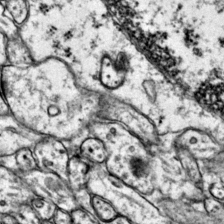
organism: Mouse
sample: Primary visual cortex